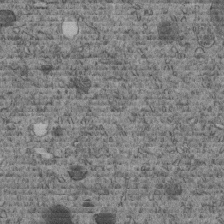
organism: C. elegans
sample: C. elegans embryo early stage